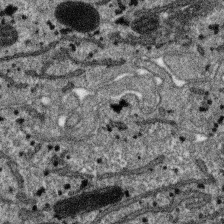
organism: Human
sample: Lung epithelial cells infected with SARS-CoV-2